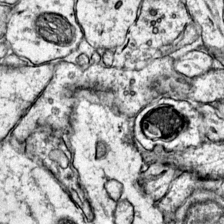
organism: Mouse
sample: Primary visual cortex